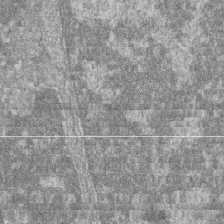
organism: Zebrafish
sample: Cilia; retinal pigment epithelium